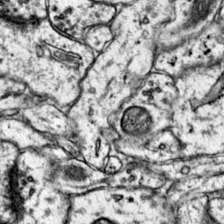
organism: Mouse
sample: Primary visual cortex